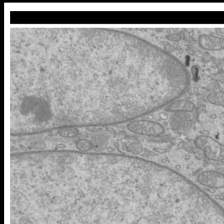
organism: Mouse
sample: Cilia; mouse epididymis